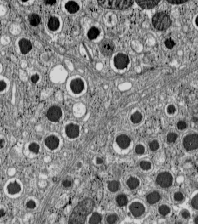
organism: C57BL Mouse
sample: Pancreatic islet